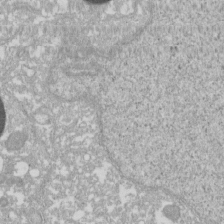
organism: Xenopus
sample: Cilia; centrioles in frog embryo cells